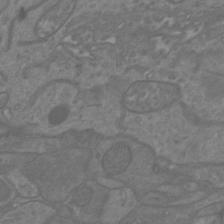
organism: Mouse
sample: Cortical neurons